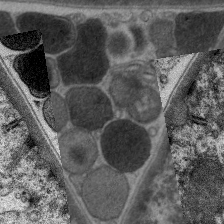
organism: C. elegans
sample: Pharynx